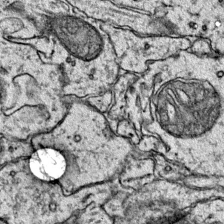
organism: Mouse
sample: Primary visual cortex